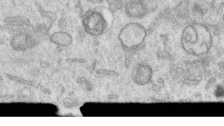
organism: Human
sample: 1205lu cells